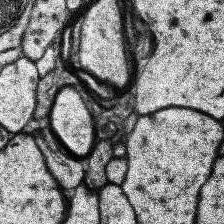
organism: Human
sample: Temporal Lobe